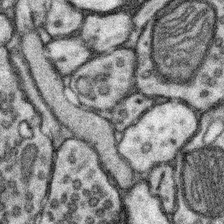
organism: Mouse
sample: Somatosensory cortex neuropil